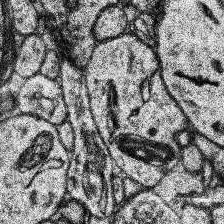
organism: Human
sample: Temporal Lobe